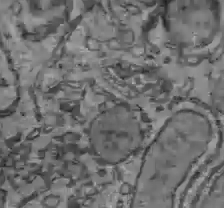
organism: C57BL Mouse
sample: Liver